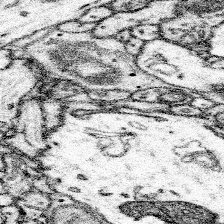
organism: Mouse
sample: Somatosensory cortex neuropil